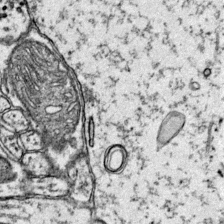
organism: Mouse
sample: Primary visual cortex